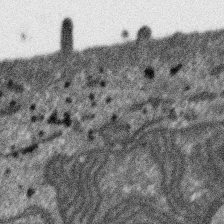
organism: Human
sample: Lung epithelial cells infected with SARS-CoV-2